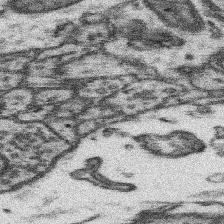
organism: Mouse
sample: Somatosensory cortex neuropil